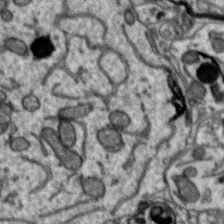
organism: Zebra finch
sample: Brain